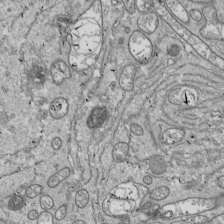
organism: Drosophila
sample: Cell division; meiosis; drosophila spermatocytes